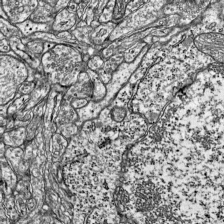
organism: Mouse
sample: Visual Cortex